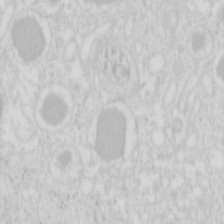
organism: Mouse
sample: Pancreas